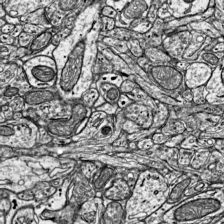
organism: Mouse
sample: Visual Cortex